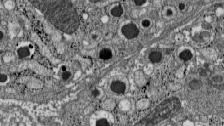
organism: C57BL Mouse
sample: Pancreatic islet